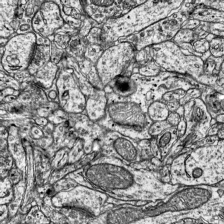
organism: Mouse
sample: Visual Cortex